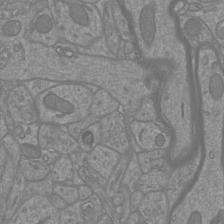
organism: Mouse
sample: Cortical neurons